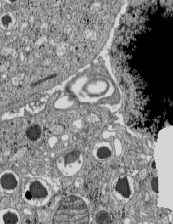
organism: C57BL Mouse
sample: Pancreatic islet